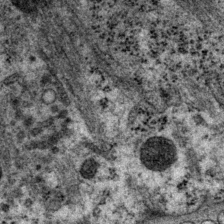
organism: P. pacificus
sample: Pharynx